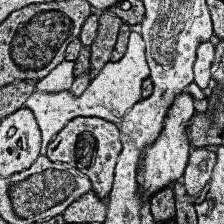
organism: Human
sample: Temporal Lobe